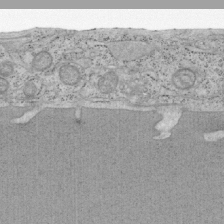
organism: Human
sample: HeLa cells